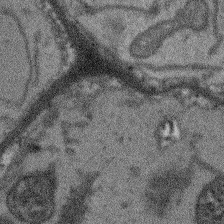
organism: Arabidopsis thaliana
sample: Root tip